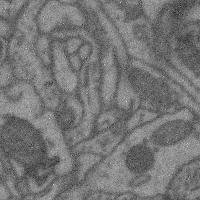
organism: Mouse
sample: Cerebral cortex